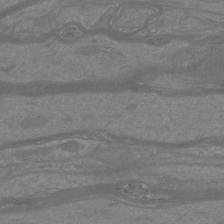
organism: Mouse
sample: Cortical neurons